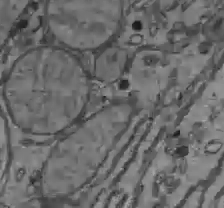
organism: C57BL Mouse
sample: Liver